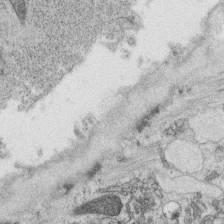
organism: C. elegans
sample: C. elegans oocyte; sperm cells